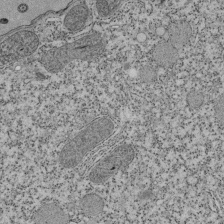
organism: Tetrahymena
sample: Cilia in tetrahymena